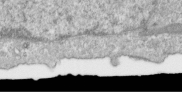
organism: Human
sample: Centriole in RPE cells